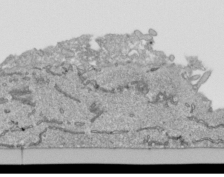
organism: Human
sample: Mitochondria in HCT116 cells